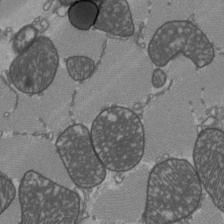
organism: C57BL Mouse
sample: Heart